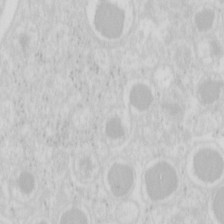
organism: Mouse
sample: Pancreas